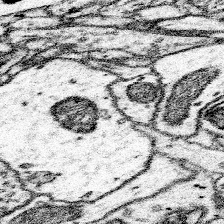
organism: Mouse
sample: Somatosensory cortex neuropil